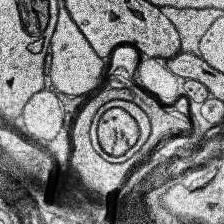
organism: Human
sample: Temporal Lobe